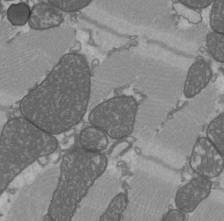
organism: C57BL Mouse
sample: Heart